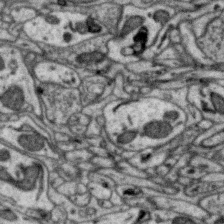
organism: Zebra finch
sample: Brain